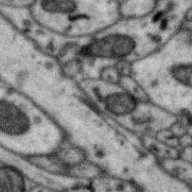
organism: Zebra finch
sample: Brain